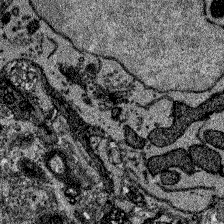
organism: Zebrafish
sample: Larval olfactory bulb